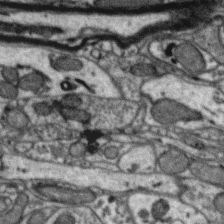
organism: Zebra finch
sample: Brain